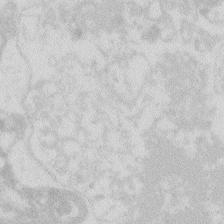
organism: Zebrafish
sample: Macrophage